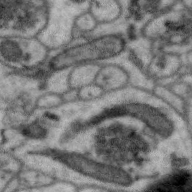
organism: Zebra finch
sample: Brain